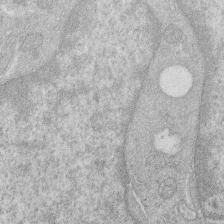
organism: Human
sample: Macrophage cells